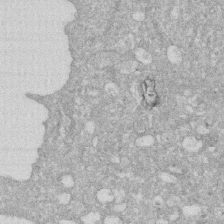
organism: Human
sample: HIV infected U937 cells